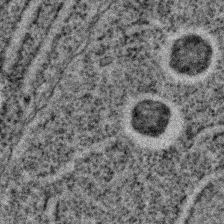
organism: C. elegans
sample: C. elegans embryo